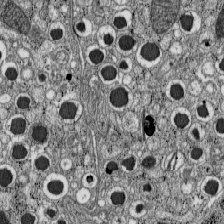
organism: C57BL Mouse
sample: Pancreatic islet